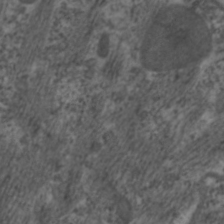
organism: C. elegans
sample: Pharynx